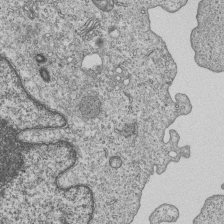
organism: Human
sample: MDA-MB-231 cells